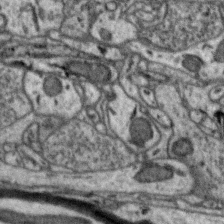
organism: Zebra finch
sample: Brain